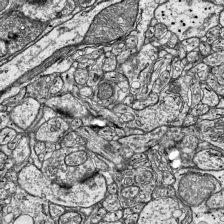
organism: Mouse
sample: Visual Cortex